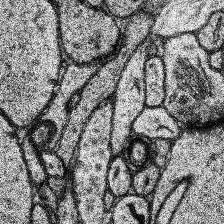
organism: Human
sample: Temporal Lobe